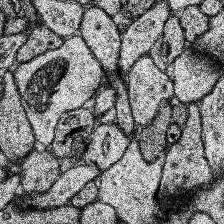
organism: Human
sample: Temporal Lobe